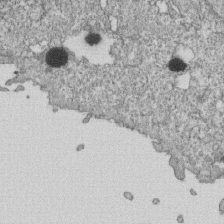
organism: Human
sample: HeLa cell HIV synapse